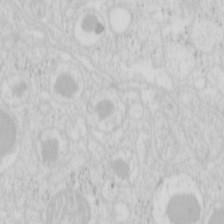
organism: Mouse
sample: Pancreas